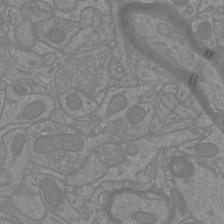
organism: Mouse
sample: Cortical neurons